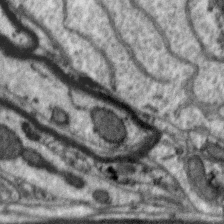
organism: Zebra finch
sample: Brain